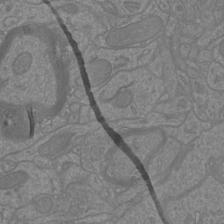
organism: Mouse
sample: Cortical neurons